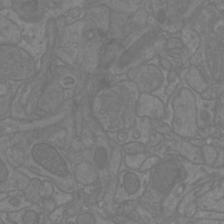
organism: Mouse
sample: Cortical neurons